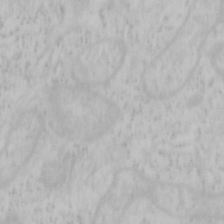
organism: Mouse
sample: OT-I killer T cells with ID8 ovarian cancer cells